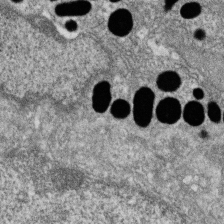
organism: Zebrafish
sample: Cilia; retinal pigment epithelium